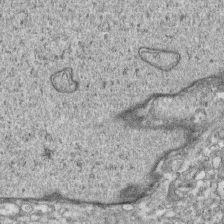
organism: Human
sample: CRL-1474